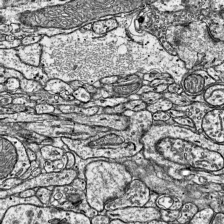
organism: Mouse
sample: Visual Cortex